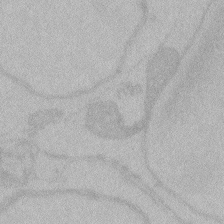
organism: Zebrafish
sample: Macrophage infected with Toxoplasma gondii